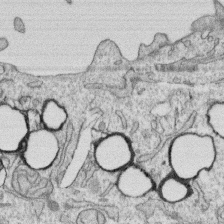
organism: Human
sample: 1205lu cells